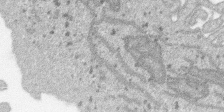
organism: Human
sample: Lung epithelial cells infected with SARS-CoV-2